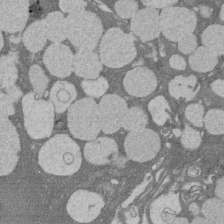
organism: Rat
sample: Salivary granule